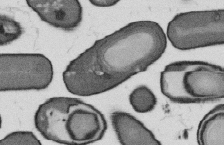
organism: B. subtilis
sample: Bacterial spore